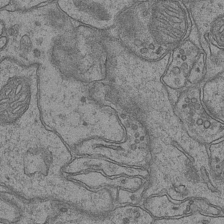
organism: Mouse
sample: CA1 Hippocampus